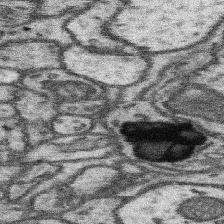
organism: Mouse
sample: Somatosensory cortex neuropil